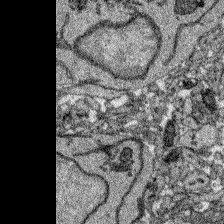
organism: Zebrafish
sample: Larval olfactory bulb